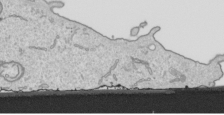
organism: Human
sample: Mitochondria in HCT116 cells